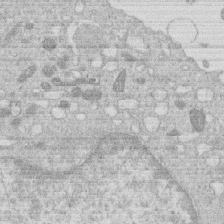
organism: Human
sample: Macrophage cells